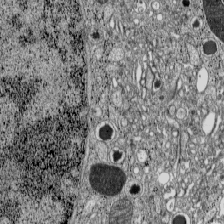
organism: C57BL Mouse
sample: Pancreatic islet